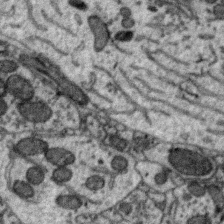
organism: Zebra finch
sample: Brain